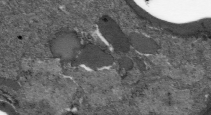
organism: Plasmodium falciparum